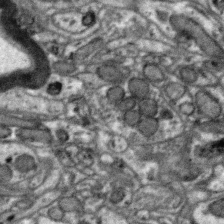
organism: Zebra finch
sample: Brain